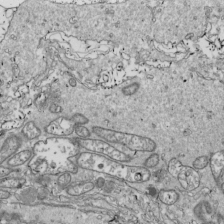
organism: Drosophila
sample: Cell division; meiosis; drosophila spermatocytes